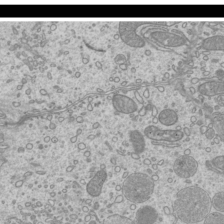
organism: Mouse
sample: Cilia; mouse epididymis